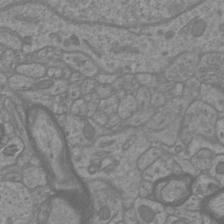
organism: Mouse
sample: Cortical neurons